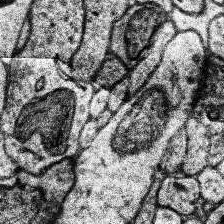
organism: Human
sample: Temporal Lobe